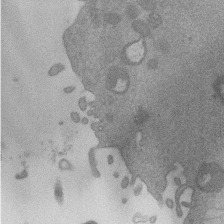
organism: Mouse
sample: Dividing mouse embryo 1 cell stage